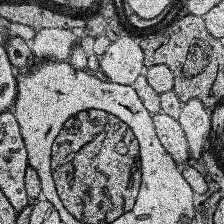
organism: Human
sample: Temporal Lobe